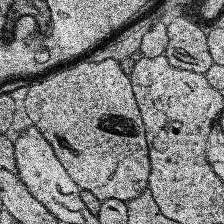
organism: Human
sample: Temporal Lobe